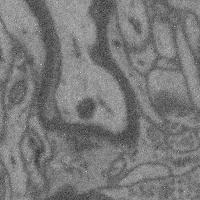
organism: Mouse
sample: Cerebral cortex